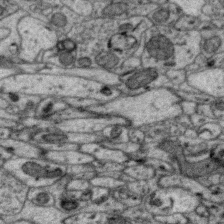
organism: Zebra finch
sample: Brain